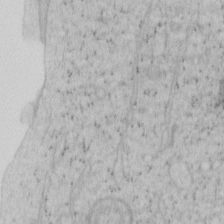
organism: Human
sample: HeLa cells